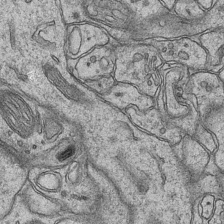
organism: Mouse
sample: CA1 Hippocampus